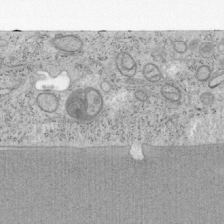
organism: Human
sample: HeLa cells